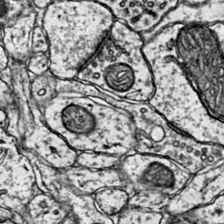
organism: Mouse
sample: Primary visual cortex